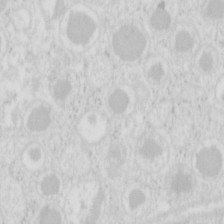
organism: Mouse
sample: Pancreas